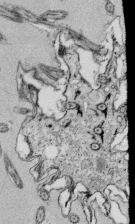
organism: Tetrahymena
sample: Cilia in tetrahymena